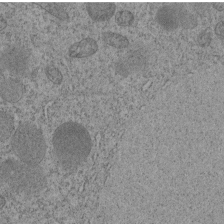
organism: C. elegans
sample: C. elegans embryo early stage